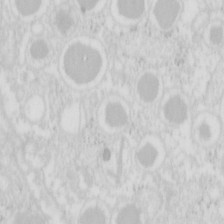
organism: Mouse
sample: Pancreas